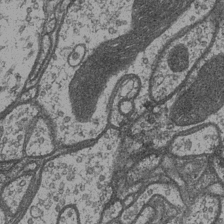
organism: Drosophila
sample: Optic medulla